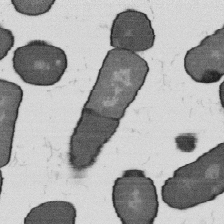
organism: B. subtilis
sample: Bacterial spore